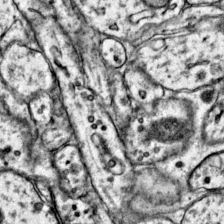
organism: Mouse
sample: Primary visual cortex